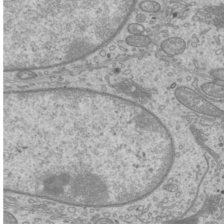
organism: Mouse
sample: Cilia; mouse epididymis